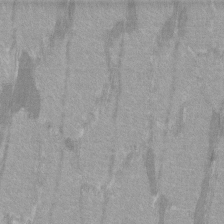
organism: C57BL Mouse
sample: Tibialis anterior muscle cell